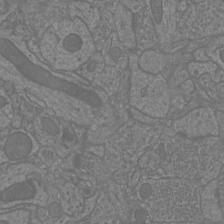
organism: Mouse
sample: Cortical neurons